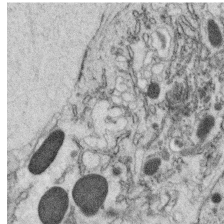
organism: C. elegans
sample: C. elegans oocyte; sperm cells